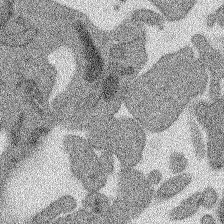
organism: Human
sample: HeLa cells